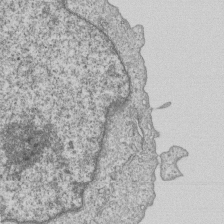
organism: Human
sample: MDA-MB-231 cells